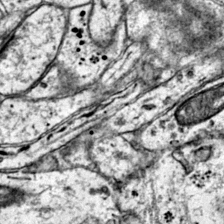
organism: Mouse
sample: Primary visual cortex